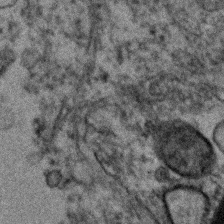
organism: Human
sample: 1205lu cells